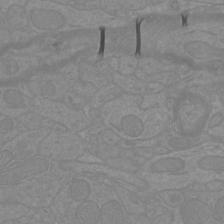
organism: Mouse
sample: Cortical neurons